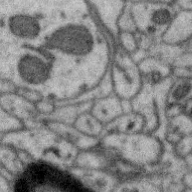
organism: Zebra finch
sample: Brain